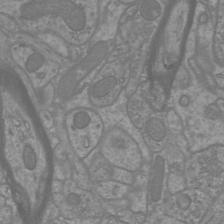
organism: Mouse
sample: Cortical neurons